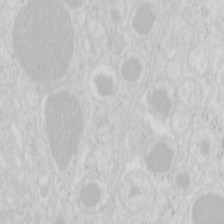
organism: Mouse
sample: Pancreas